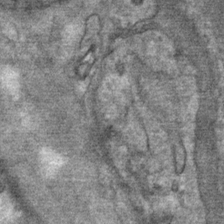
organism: Mouse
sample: Mouse Salivary gland